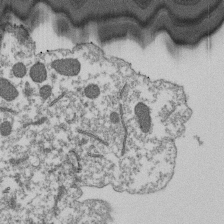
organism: Dictyostelium discoideum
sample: Dictyostelium multivesicular bodies